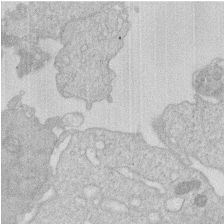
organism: Human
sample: Macrophage cells